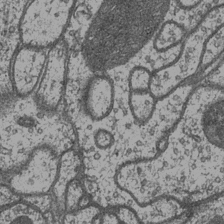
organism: Drosophila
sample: Optic medulla